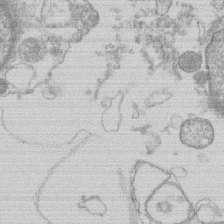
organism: Human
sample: Macrophage cells